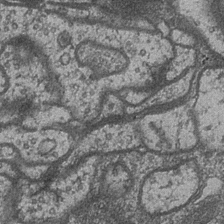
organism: Drosophila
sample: Optic medulla